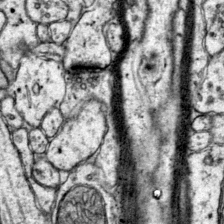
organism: Mouse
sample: Primary visual cortex